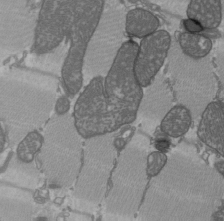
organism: C57BL Mouse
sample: Heart